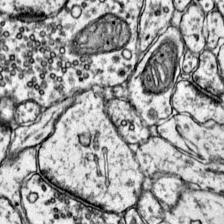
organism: Mouse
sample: Primary visual cortex